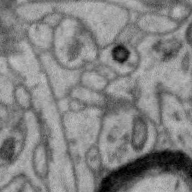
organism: Zebra finch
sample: Brain